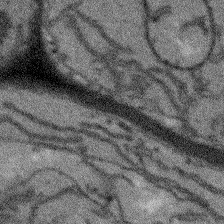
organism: Arabidopsis thaliana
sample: Root tip